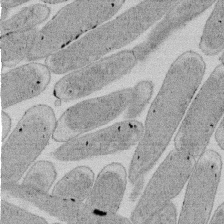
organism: E. coli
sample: Bacterial nucleoid